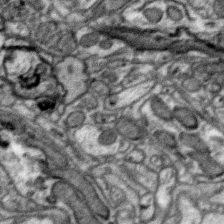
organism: Zebra finch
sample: Brain